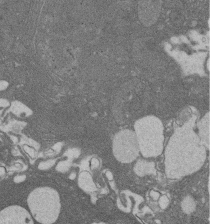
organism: Rat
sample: Salivary granule